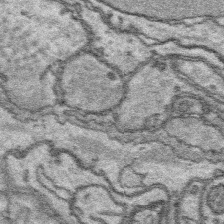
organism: Platynereis dumerilii